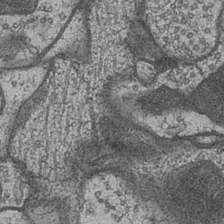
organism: Drosophila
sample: Optic medulla